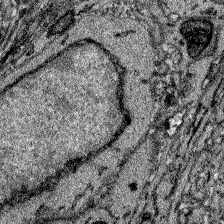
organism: Zebrafish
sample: Larval olfactory bulb